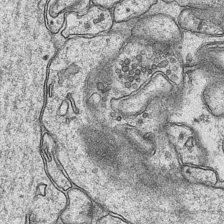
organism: Mouse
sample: CA1 Hippocampus